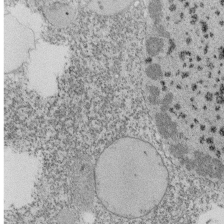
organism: Tetrahymena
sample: Cilia in tetrahymena